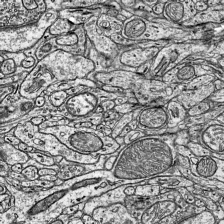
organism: Mouse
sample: Visual Cortex